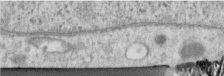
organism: Human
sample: Centriole in RPE cells